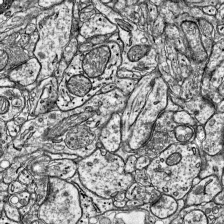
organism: Mouse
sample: Visual Cortex